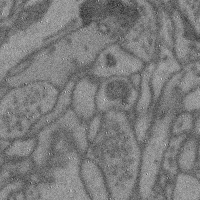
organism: Mouse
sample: Cerebral cortex